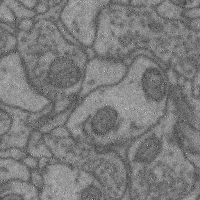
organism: Mouse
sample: Cerebral cortex